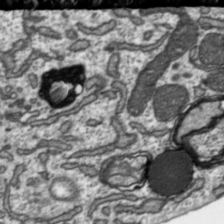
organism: Toxoplasma gondii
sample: Parasites in a vacuole inside a host cell